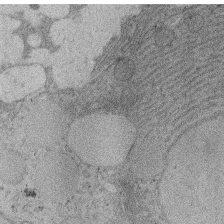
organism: Rat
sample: Salivary granule